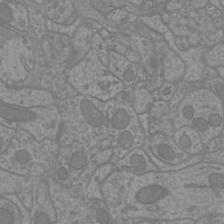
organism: Mouse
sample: Cortical neurons